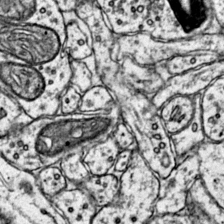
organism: Mouse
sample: Primary visual cortex